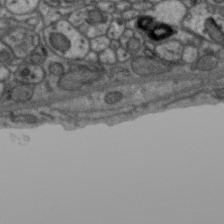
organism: Zebra finch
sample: Brain